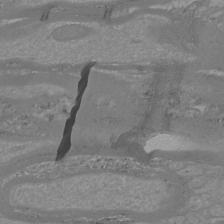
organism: Mouse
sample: Cortical neurons